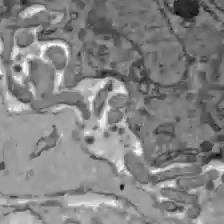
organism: C57BL Mouse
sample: Liver